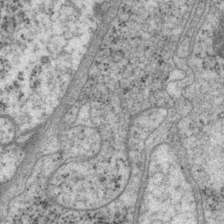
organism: P. pacificus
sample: Pharynx